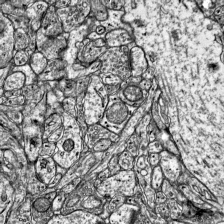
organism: Mouse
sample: Visual Cortex